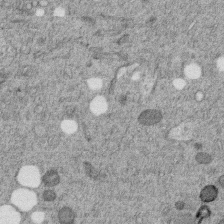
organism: C. elegans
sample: C. elegans embryo early stage